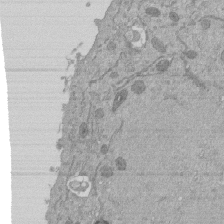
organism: Mouse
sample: ED-1 cell nuclei; centrioles